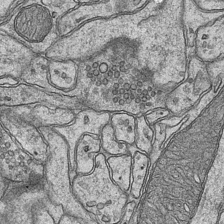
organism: Mouse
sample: CA1 Hippocampus